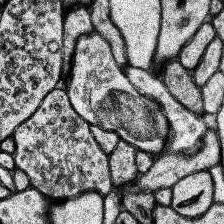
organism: Human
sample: Temporal Lobe